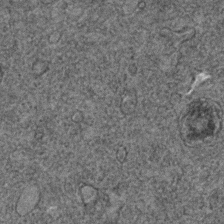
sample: Trachea